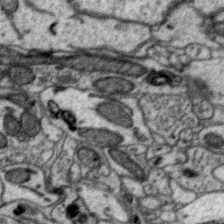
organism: Zebra finch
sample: Brain